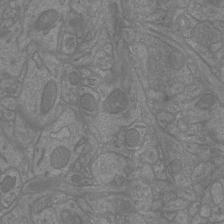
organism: Mouse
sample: Cortical neurons